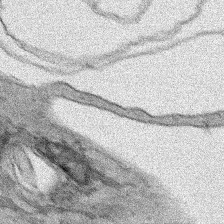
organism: Human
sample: Mitochondria in HCT116 cells